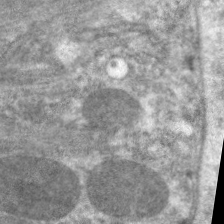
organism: C. elegans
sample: Pharynx